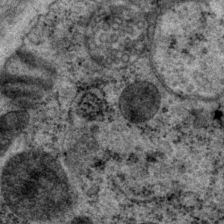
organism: P. pacificus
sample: Pharynx